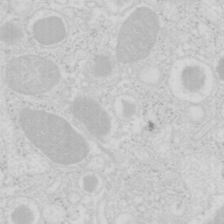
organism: Mouse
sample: Pancreas